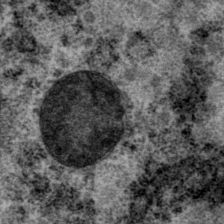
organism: P. pacificus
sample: Pharynx